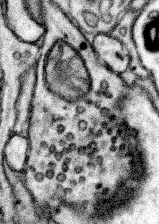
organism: Mouse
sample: Somatosensory cortex neuropil